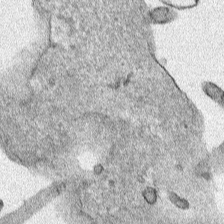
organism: Human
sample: Mitochondria in HCT116 cells